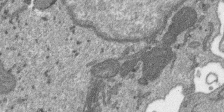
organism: Human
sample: Lung epithelial cells infected with SARS-CoV-2